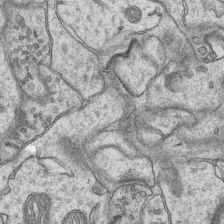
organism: Mouse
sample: CA1 Hippocampus